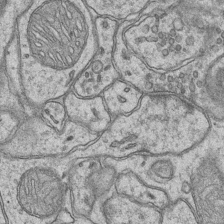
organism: Mouse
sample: CA1 Hippocampus